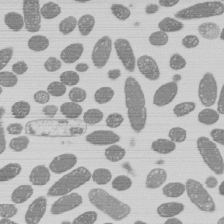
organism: E. coli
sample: Bacterial nucleoid